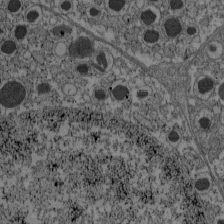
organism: C57BL Mouse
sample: Pancreatic islet